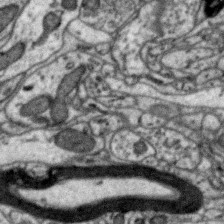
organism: Zebra finch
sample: Brain